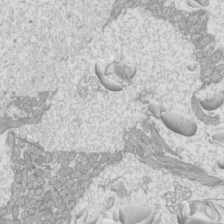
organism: Mouse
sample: Cilia; mouse epididymis